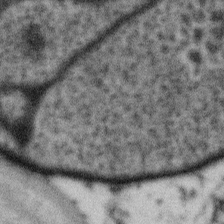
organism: Gemmata obscuriglobus